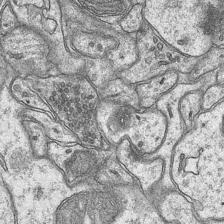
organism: Mouse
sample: CA1 Hippocampus